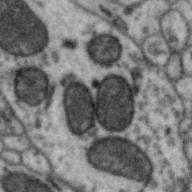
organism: Zebra finch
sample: Brain